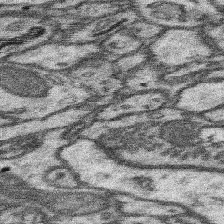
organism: Mouse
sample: Somatosensory cortex neuropil